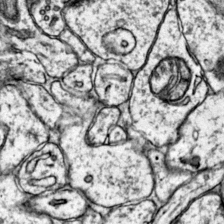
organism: Mouse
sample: Primary visual cortex